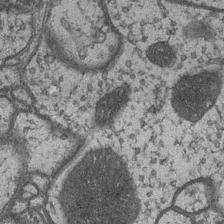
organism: Drosophila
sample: Optic medulla